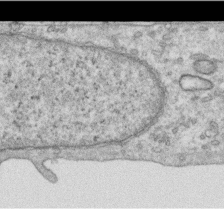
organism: Human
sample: Centriole in RPE cells